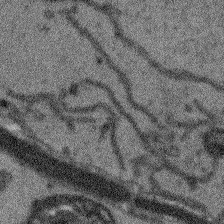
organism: Arabidopsis thaliana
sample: Root tip